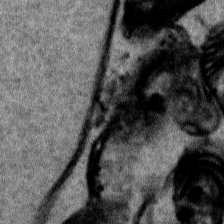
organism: Human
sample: Mitochondria in HCT116 cells